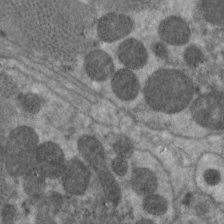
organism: C. elegans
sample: Pharynx